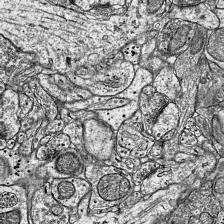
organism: Mouse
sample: Visual Cortex